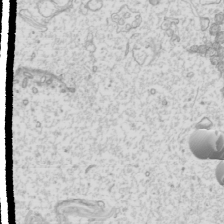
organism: Mouse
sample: Cilia; mouse epididymis